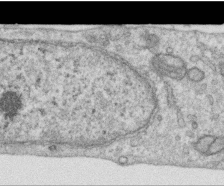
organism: Human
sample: Centriole in RPE cells